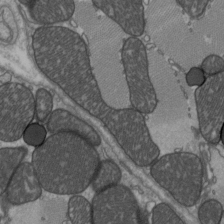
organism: C57BL Mouse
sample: Heart